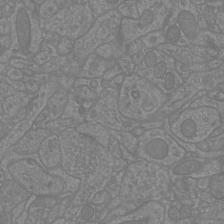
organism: Mouse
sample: Cortical neurons